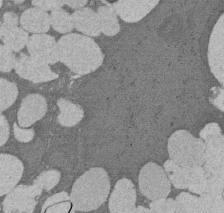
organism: Rat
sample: Salivary granule